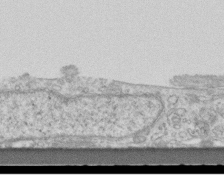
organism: Mouse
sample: Centriole in ependymal cells